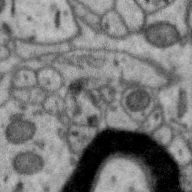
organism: Zebra finch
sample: Brain